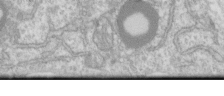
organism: Human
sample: Centriole in RPE cells